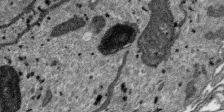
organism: Human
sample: Lung epithelial cells, uninfected (mock) control